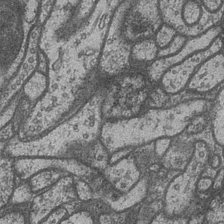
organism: Drosophila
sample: Optic medulla